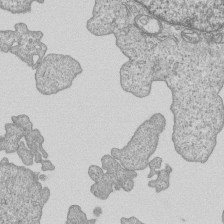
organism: Human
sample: MDA-MB-231 cells